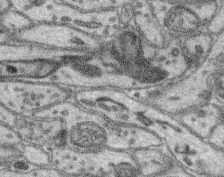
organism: Mouse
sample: Retina